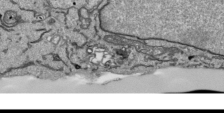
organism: Human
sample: Mitochondria in HCT116 cells